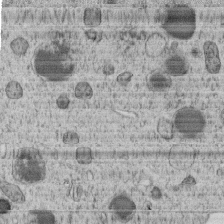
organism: C. elegans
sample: C. elegans embryo early stage